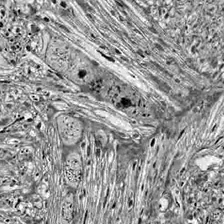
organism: Drosophila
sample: Optic lobe